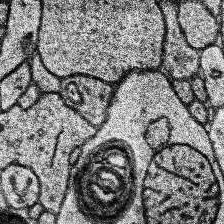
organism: Human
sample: Temporal Lobe